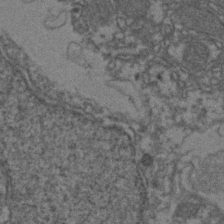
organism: Zebrafish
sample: Zebrafish embryo